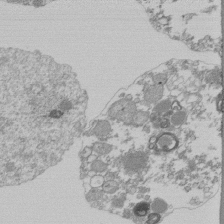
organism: Mouse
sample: Activated Pmel transgenic CD8+ T Cells